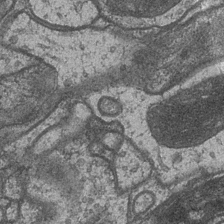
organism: Drosophila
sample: Optic medulla